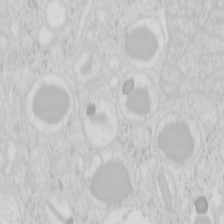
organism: Mouse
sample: Pancreas